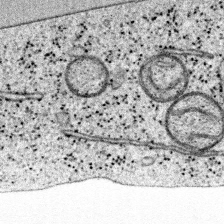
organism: Human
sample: HeLa cells